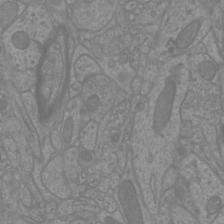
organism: Mouse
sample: Cortical neurons